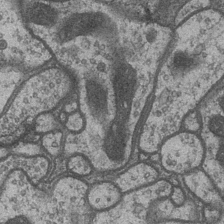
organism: Drosophila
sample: Optic medulla